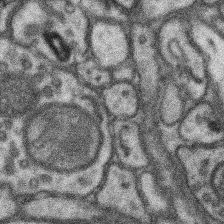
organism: Mouse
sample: Somatosensory cortex neuropil